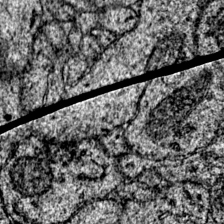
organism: Mouse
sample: Primary visual cortex